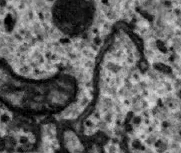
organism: Human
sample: HeLa cells